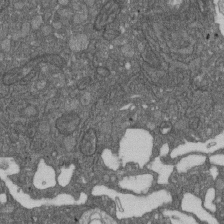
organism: Drosophila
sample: Nephrocyte